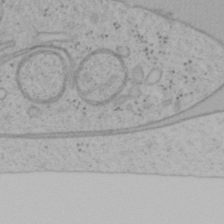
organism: Human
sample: HeLa cells